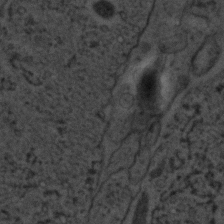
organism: C. elegans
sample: C. elegans embryo